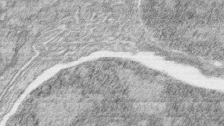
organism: Zebrafish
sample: synaptic ribbons in rod cells and cone cells